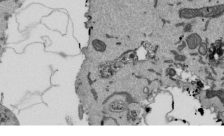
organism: Mouse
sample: ED-1 cell nuclei; centrioles